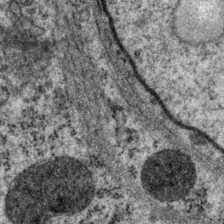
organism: P. pacificus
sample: Pharynx